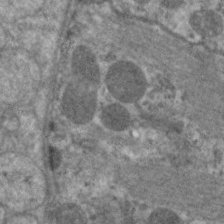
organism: C. elegans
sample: Pharynx